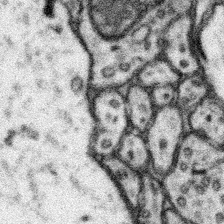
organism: Mouse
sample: Somatosensory cortex neuropil